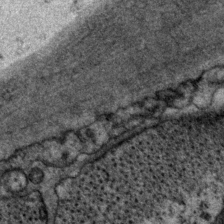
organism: P. pacificus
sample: Pharynx